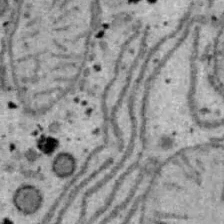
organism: Mouse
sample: Liver from an obese (ob/ob) mouse